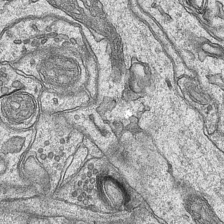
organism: Mouse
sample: CA1 Hippocampus